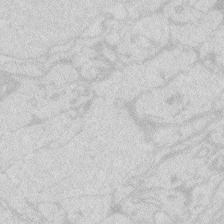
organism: Zebrafish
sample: Macrophage